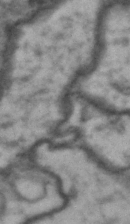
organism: Drosophila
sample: Brain